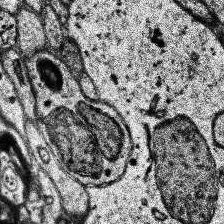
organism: Human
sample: Temporal Lobe